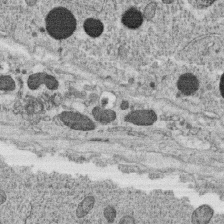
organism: C. elegans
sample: C. elegans oocyte; sperm cells